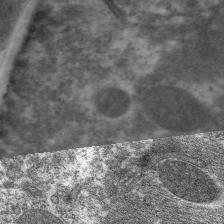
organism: C. elegans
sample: Pharynx